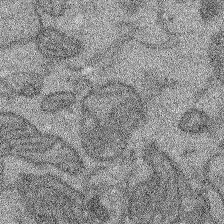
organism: Human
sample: HeLa cells